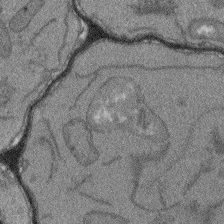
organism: Arabidopsis thaliana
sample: Root tip